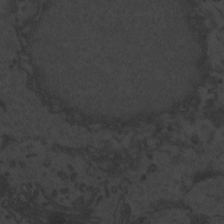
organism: Zebrafish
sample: Macrophage infected with Toxoplasma gondii